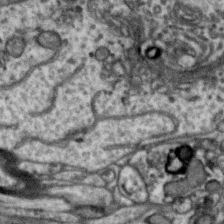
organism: Zebra finch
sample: Brain